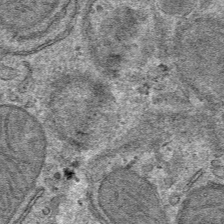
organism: Mouse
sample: Mouse hepatocytes